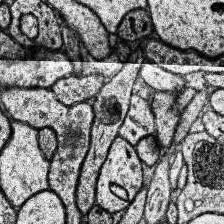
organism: Human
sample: Temporal Lobe